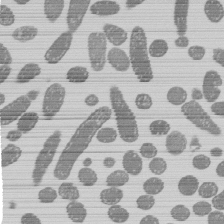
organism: E. coli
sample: Bacterial nucleoid